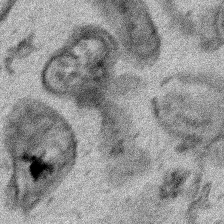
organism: Human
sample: Mitochondria in HCT116 cells